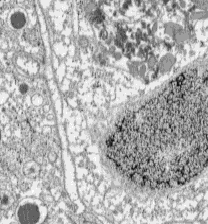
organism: C57BL Mouse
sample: Pancreatic islet